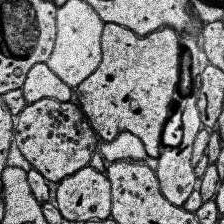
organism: Human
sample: Temporal Lobe